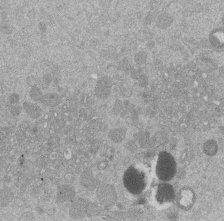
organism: Mouse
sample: Dividing mouse embryo 1 cell stage